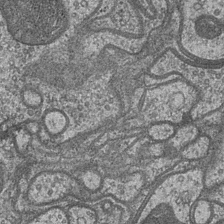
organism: Drosophila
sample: Optic medulla